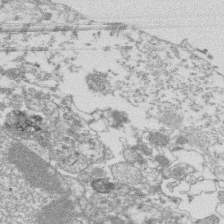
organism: Human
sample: HeLa cell HIV synapse